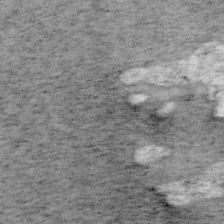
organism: Mouse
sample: OT-I killer T cells with ID8 ovarian cancer cells